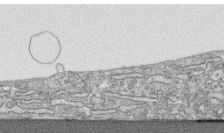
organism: Human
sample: CRL-1474